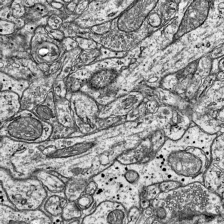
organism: Mouse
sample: Visual Cortex